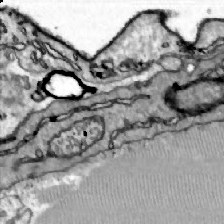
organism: Zebrafish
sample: Actinotrichia fibers